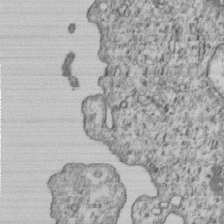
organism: Human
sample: MDA-MB-231 cells